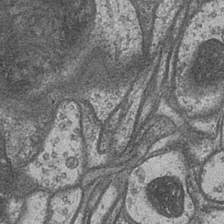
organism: Drosophila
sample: Optic medulla